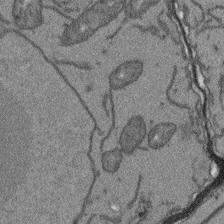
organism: Arabidopsis thaliana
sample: Root tip